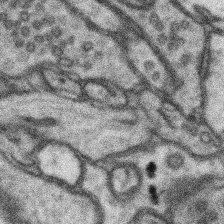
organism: Mouse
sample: Somatosensory cortex neuropil